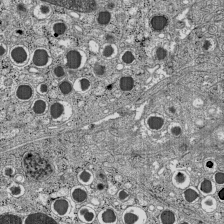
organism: C57BL Mouse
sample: Pancreatic islet